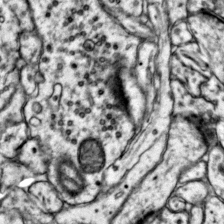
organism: Mouse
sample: Primary visual cortex